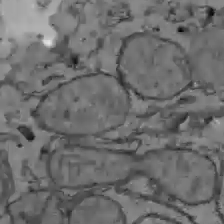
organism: C57BL Mouse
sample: Liver